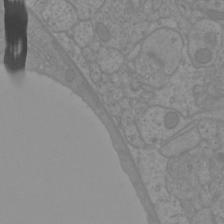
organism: Mouse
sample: Cortical neurons